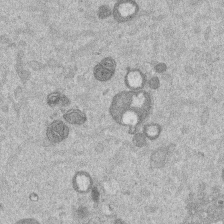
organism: Mouse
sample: Dividing mouse embryo 1 cell stage